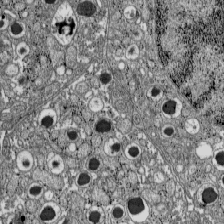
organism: C57BL Mouse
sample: Pancreatic islet